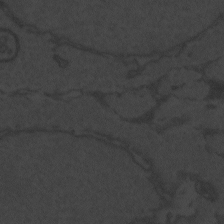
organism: Zebrafish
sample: Macrophage infected with Toxoplasma gondii